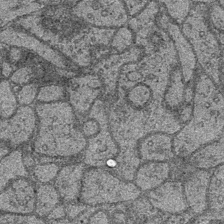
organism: Drosophila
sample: Optic medulla